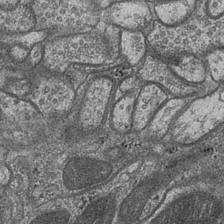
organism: Drosophila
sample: Optic medulla